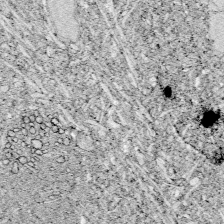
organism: Zebrafish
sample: Whole-Brain